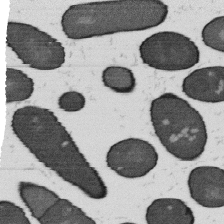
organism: B. subtilis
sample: Bacterial spore